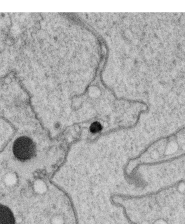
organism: C. elegans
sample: C. elegans oocyte; sperm cells